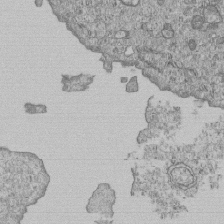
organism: Human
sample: MDA-MB-231 cells